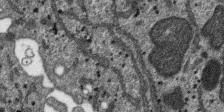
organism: Human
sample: Lung epithelial cells infected with SARS-CoV-2